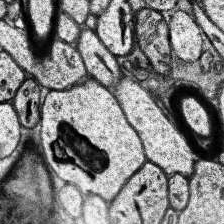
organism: Human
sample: Temporal Lobe